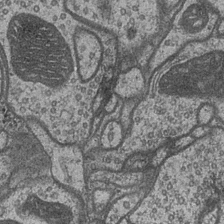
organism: Drosophila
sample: Optic medulla